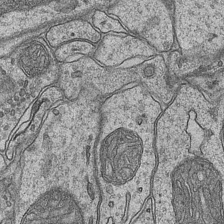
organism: Mouse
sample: CA1 Hippocampus